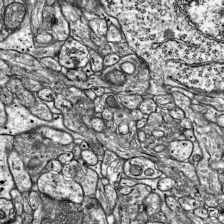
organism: Mouse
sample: Visual Cortex